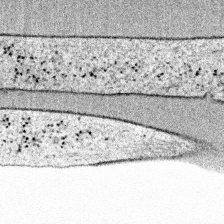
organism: Human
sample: HeLa cells